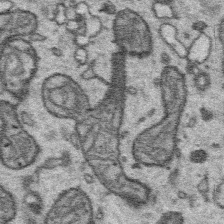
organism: Platynereis dumerilii